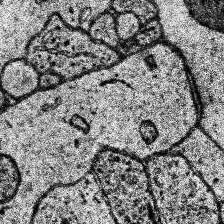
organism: Human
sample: Temporal Lobe